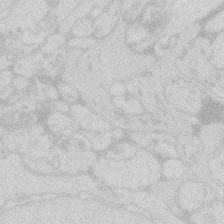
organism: Zebrafish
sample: Macrophage